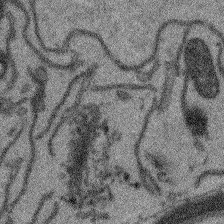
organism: Arabidopsis thaliana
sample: Root tip